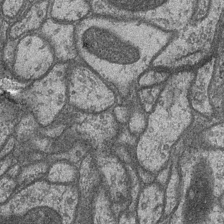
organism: Drosophila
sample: Optic medulla